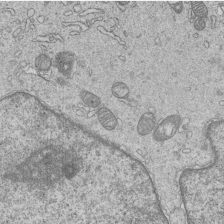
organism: Human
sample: MDA-MB-231 cells